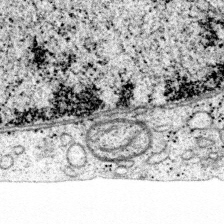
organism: Human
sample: HeLa cells